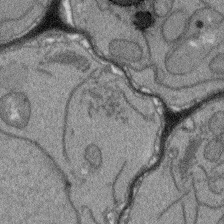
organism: Arabidopsis thaliana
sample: Root tip